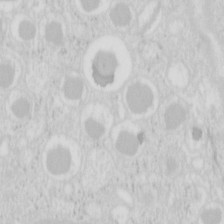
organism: Mouse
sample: Pancreas